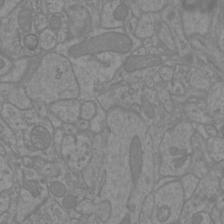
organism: Mouse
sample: Cortical neurons